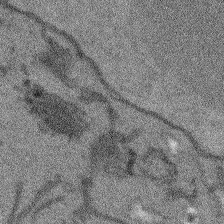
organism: Arabidopsis thaliana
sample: Root tip